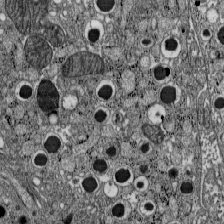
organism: C57BL Mouse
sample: Pancreatic islet